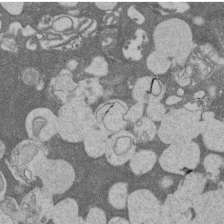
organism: Rat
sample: Salivary granule